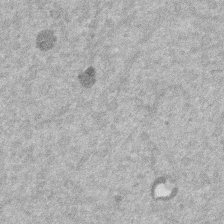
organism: Mouse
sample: Dividing mouse embryo 1 cell stage